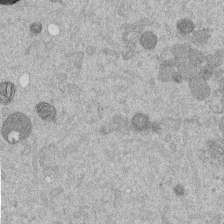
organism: Mouse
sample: Dividing mouse embryo 1 cell stage